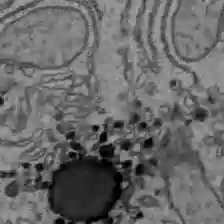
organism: C57BL Mouse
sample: Liver